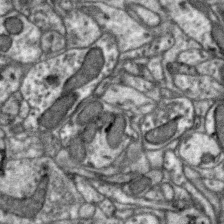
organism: Zebra finch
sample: Brain